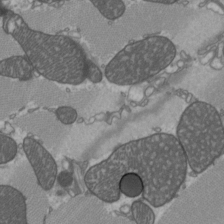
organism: C57BL Mouse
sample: Heart